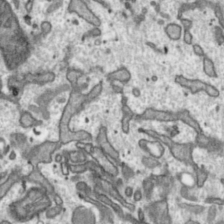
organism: Toxoplasma gondii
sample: Parasites in a vacuole inside a host cell